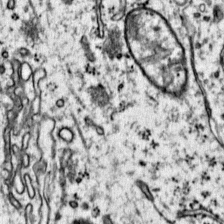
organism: Mouse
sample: Primary visual cortex